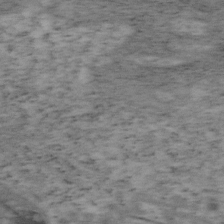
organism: Mouse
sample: OT-I killer T cells with ID8 ovarian cancer cells